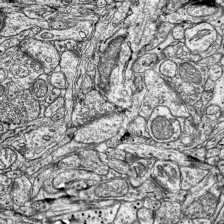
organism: Mouse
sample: Visual Cortex